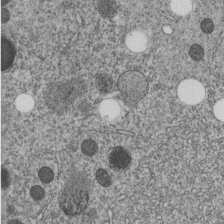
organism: C. elegans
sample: C. elegans embryo early stage